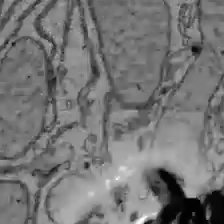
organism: C57BL Mouse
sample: Liver